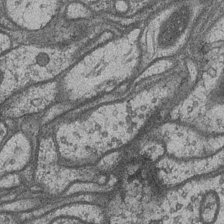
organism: Drosophila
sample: Optic medulla